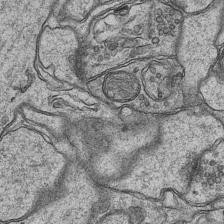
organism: Mouse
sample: CA1 Hippocampus